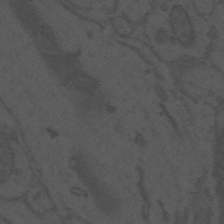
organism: Mouse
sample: Suprachiasmatic nucleus